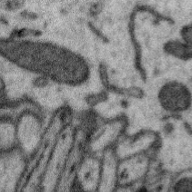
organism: Zebra finch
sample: Brain